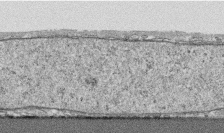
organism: Human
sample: CRL-1474